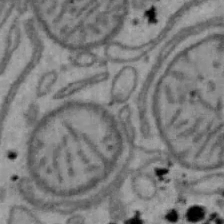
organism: Mouse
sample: Liver